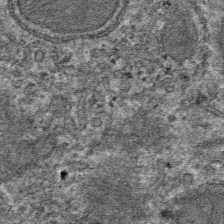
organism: Mouse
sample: Mouse hepatocytes